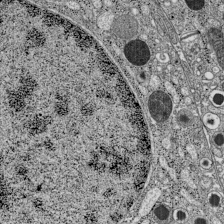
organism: C57BL Mouse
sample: Pancreatic islet